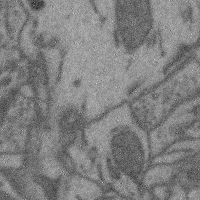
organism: Mouse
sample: Cerebral cortex